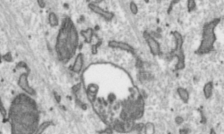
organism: Toxoplasma gondii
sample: Parasites in a vacuole inside a host cell